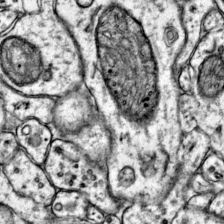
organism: Mouse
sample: Primary visual cortex